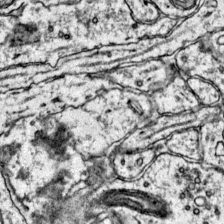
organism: Mouse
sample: Primary visual cortex